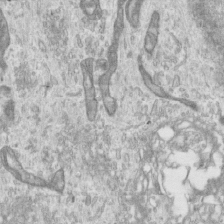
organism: Human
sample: Centriole in RPE cells